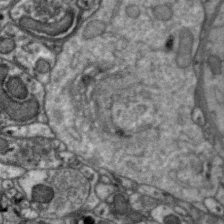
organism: Zebra finch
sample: Brain